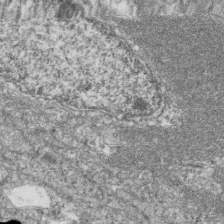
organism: Zebrafish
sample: Cilia; retinal pigment epithelium